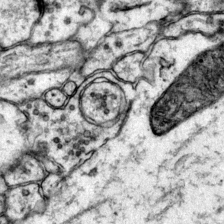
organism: Mouse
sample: Primary visual cortex